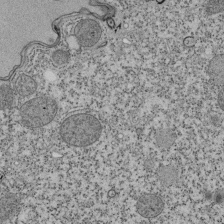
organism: Tetrahymena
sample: Cilia in tetrahymena